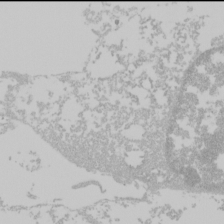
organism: Mouse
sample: Cancer cell death in ED-1 cells